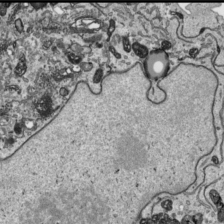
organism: Human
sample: Mitochondria in HCT116 cells